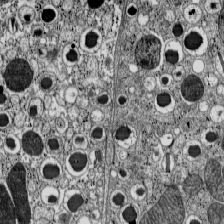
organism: C57BL Mouse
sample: Pancreatic islet